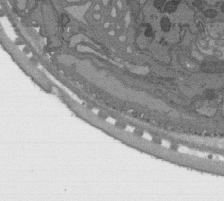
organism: C. elegans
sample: AFD neurons C. elegans